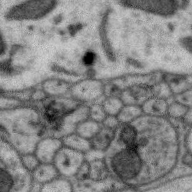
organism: Zebra finch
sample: Brain